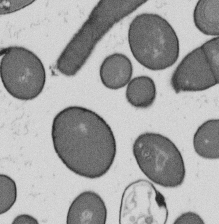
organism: B. subtilis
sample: Bacterial spore